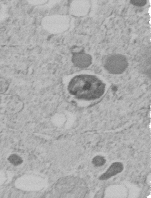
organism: C. elegans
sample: C. elegans embryo early stage